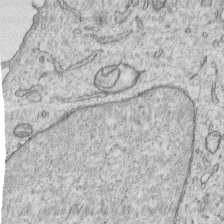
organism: Human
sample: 1205lu cells